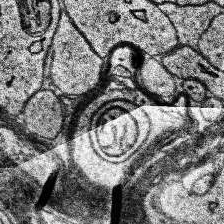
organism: Human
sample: Temporal Lobe